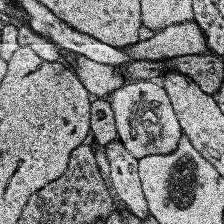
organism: Human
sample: Temporal Lobe